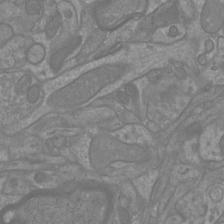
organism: Mouse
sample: Cortical neurons